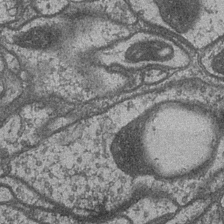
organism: Drosophila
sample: Optic medulla